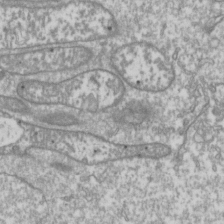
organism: Drosophila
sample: Cell division; meiosis; drosophila spermatocytes